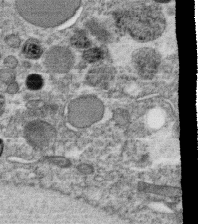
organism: C. elegans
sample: C. elegans oocyte; sperm cells